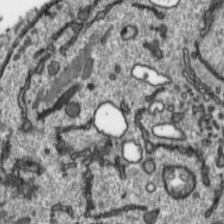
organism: Toxoplasma gondii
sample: Parasites in a vacuole inside a host cell